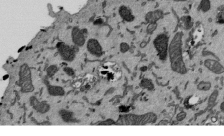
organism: Mouse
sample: ED-1 cell nuclei; centrioles